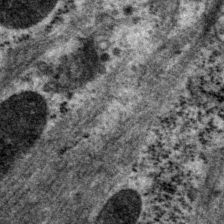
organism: P. pacificus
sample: Pharynx